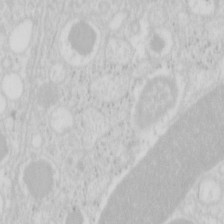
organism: Mouse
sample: Pancreas